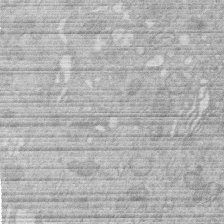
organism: Human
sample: Macrophage cells